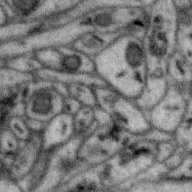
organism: Zebra finch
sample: Brain